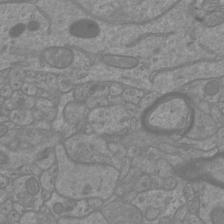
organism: Mouse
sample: Cortical neurons